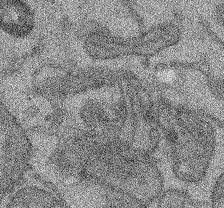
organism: Human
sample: HeLa cells